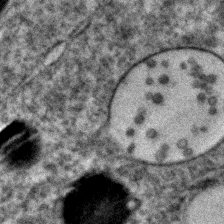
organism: C. elegans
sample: C. elegans embryo